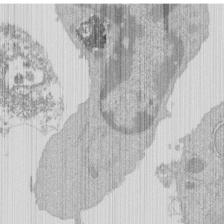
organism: Mouse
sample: Activated Pmel transgenic CD8+ T Cells